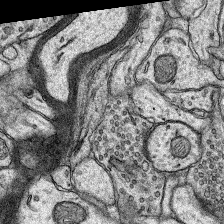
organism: Rat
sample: Hippocampus